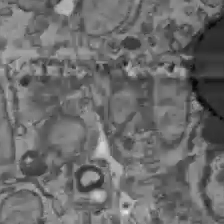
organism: C57BL Mouse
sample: Liver